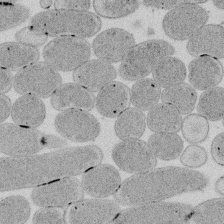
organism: E. coli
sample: Bacterial nucleoid